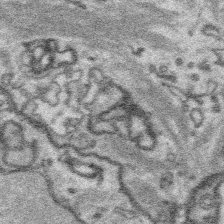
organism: Platynereis dumerilii